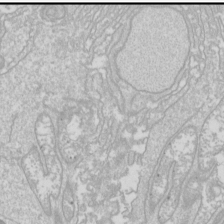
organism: Drosophila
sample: Cell division; meiosis; drosophila spermatocytes